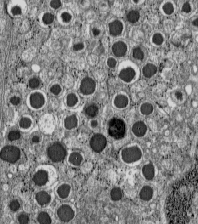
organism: C57BL Mouse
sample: Pancreatic islet